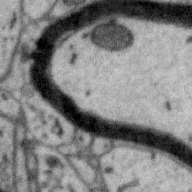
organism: Zebra finch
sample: Brain